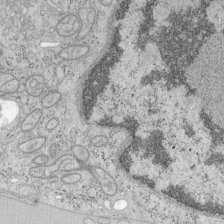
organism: Mouse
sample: OT-I killer T cells with ID8 ovarian cancer cells